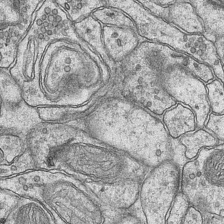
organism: Mouse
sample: CA1 Hippocampus